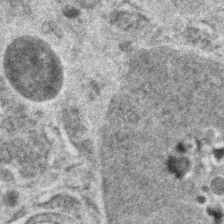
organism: Zebrafish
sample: Zebrafish embryo